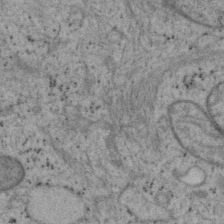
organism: Human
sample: HeLa cells